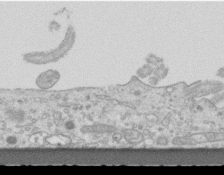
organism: Mouse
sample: Centriole in ependymal cells